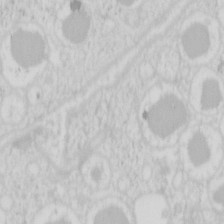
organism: Mouse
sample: Pancreas